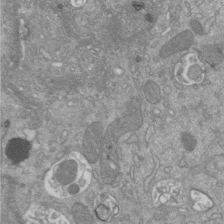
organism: Mouse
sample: ED-1 cell nuclei; centrioles